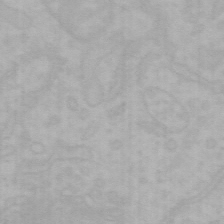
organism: Mouse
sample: Choroid plexus